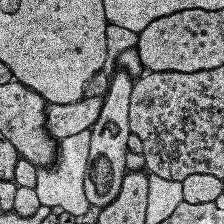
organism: Human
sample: Temporal Lobe